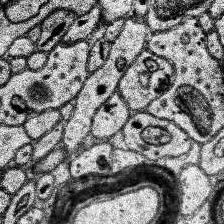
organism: Human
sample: Temporal Lobe